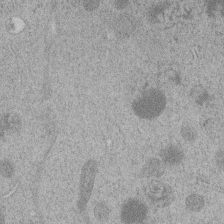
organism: C. elegans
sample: C. elegans embryo early stage